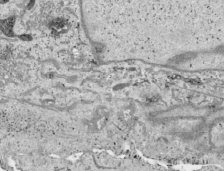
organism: Human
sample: Mitochondria in HCT116 cells